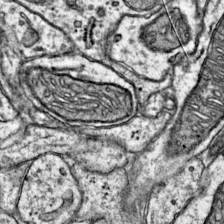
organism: Mouse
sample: Primary visual cortex